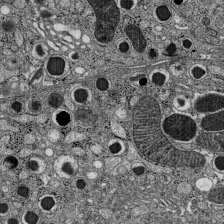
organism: C57BL Mouse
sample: Pancreatic islet